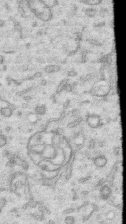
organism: Human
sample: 1205lu cells